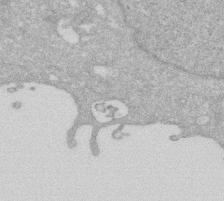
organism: Human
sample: HIV infected U937 cells